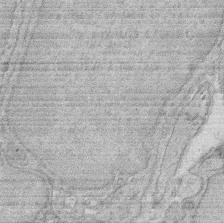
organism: Rat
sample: Salivary granule